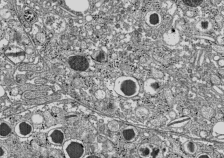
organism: C57BL Mouse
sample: Pancreatic islet